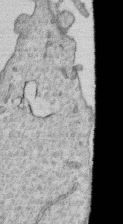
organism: Human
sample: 1205lu cells